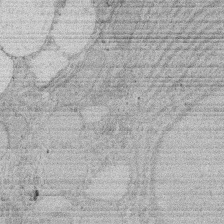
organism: Rat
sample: Salivary granule